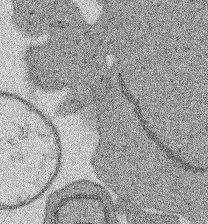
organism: Human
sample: HeLa cells